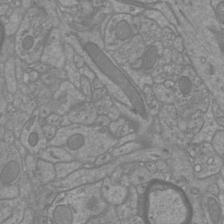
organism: Mouse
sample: Cortical neurons